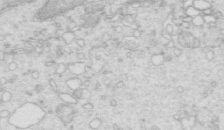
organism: Mouse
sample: Multiciliated cells